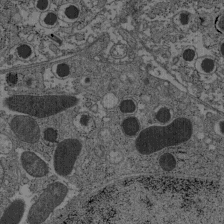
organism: C57BL Mouse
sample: Pancreatic islet